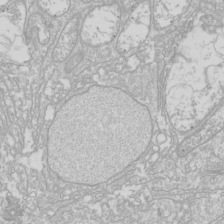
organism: Drosophila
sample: Cell division; meiosis; drosophila spermatocytes